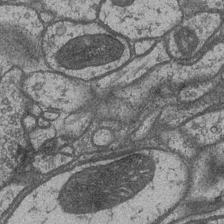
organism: Drosophila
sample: Optic medulla